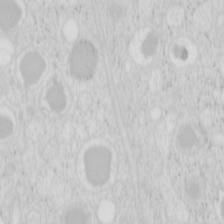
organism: Mouse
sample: Pancreas